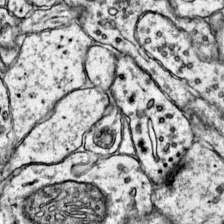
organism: Mouse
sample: Primary visual cortex